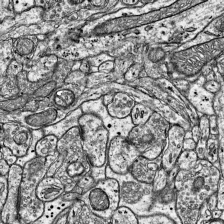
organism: Mouse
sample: Visual Cortex